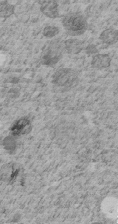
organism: C. elegans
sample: C. elegans embryo early stage